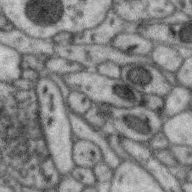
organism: Zebra finch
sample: Brain